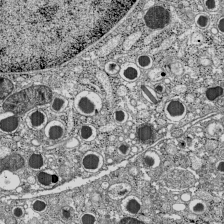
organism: C57BL Mouse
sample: Pancreatic islet